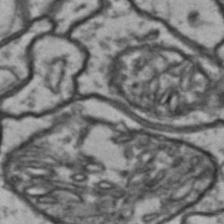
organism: Drosophila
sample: Brain